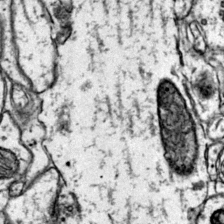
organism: Mouse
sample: Primary visual cortex